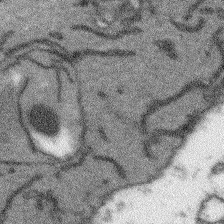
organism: Arabidopsis thaliana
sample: Root tip